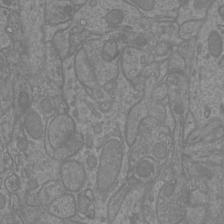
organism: Mouse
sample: Cortical neurons